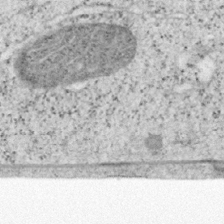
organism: Mouse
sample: OT-I killer T cells with ID8 ovarian cancer cells